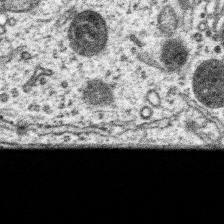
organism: Human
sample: HeLa cells